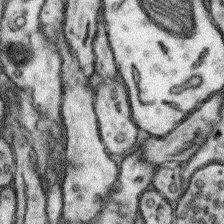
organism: Mouse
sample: Somatosensory cortex neuropil